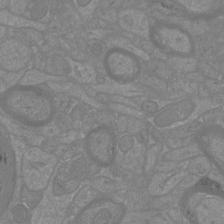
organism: Mouse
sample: Cortical neurons